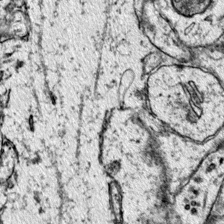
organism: Mouse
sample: Primary visual cortex